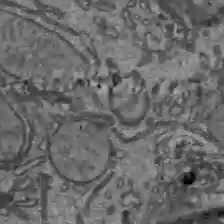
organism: C57BL Mouse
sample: Liver